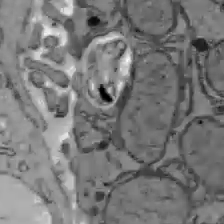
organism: C57BL Mouse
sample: Liver